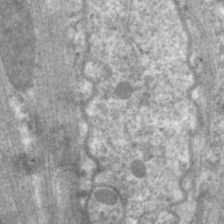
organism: C. elegans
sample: Pharynx